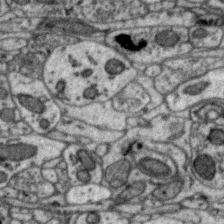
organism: Zebra finch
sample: Brain